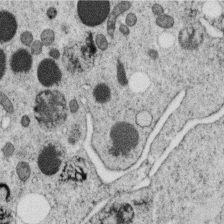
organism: C. elegans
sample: C. elegans oocyte; sperm cells